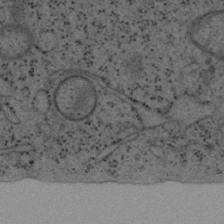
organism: Human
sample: HeLa cells